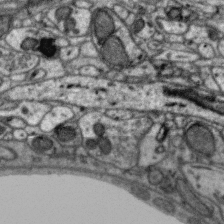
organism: Zebra finch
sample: Brain